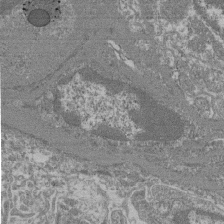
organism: Mouse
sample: Glomerulus